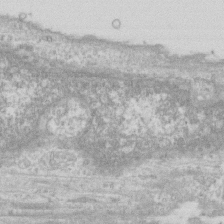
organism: Human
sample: Fibroblast cells